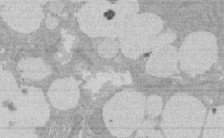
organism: Rat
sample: Salivary granule